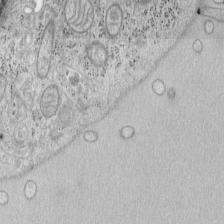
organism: Mouse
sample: OT-I killer T cells with ID8 ovarian cancer cells